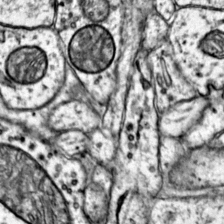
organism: Mouse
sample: Primary visual cortex